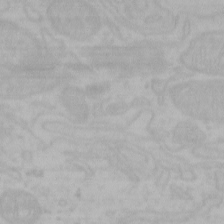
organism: Mouse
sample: Choroid plexus